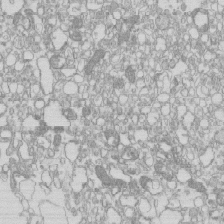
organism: Mouse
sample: Macrophages